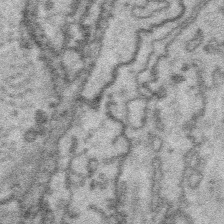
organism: Platynereis dumerilii